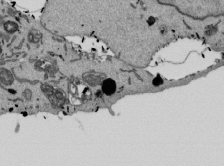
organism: Mouse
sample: ED-1 cell nuclei; centrioles